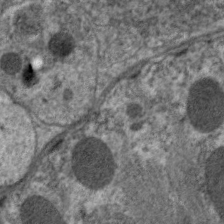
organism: C. elegans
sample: Pharynx